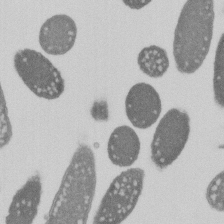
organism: E. coli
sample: Bacterial nucleoid